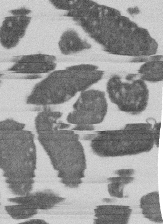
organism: E. coli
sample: Bacterial nucleoid